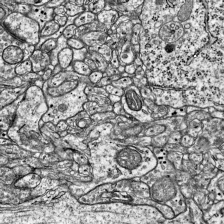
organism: Mouse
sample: Visual Cortex